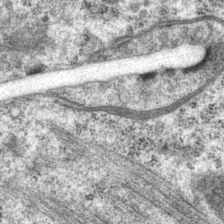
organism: P. pacificus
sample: Pharynx